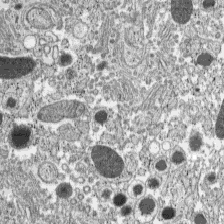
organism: C57BL Mouse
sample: Pancreatic islet